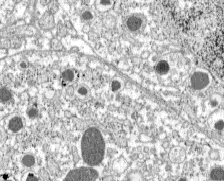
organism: C57BL Mouse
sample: Pancreatic islet